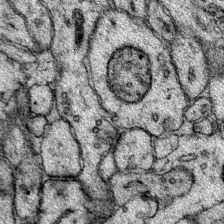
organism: Mouse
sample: Primary visual cortex